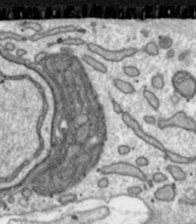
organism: Toxoplasma gondii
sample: Parasites in a vacuole inside a host cell